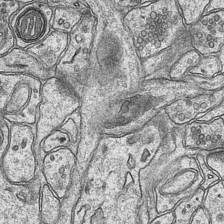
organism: Mouse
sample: CA1 Hippocampus